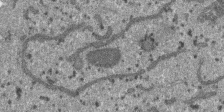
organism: Human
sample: Lung epithelial cells infected with SARS-CoV-2